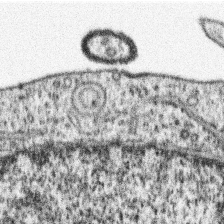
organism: Human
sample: HeLa cells